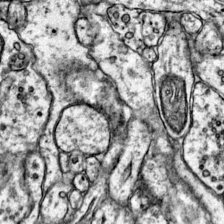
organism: Mouse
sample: Primary visual cortex